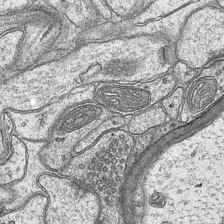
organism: Mouse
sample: CA1 Hippocampus